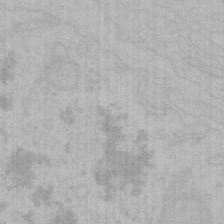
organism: Mouse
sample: Choroid plexus